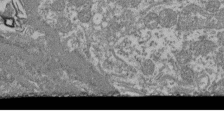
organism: Mouse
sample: Glomerulus